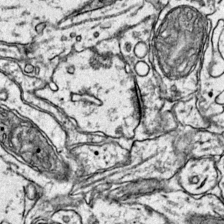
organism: Mouse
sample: Primary visual cortex